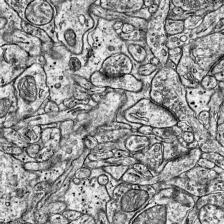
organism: Mouse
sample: Visual Cortex